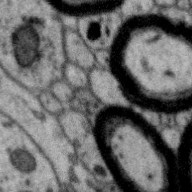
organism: Zebra finch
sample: Brain